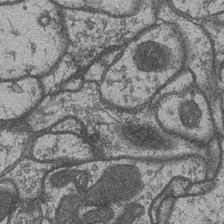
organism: Drosophila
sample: Optic medulla